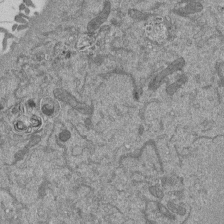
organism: Mouse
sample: ED-1 cell nuclei; centrioles